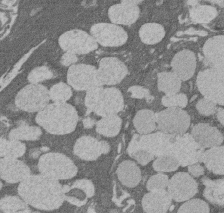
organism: Rat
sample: Salivary granule